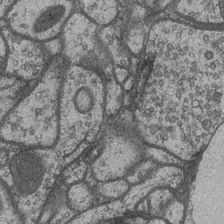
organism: Drosophila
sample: Optic medulla